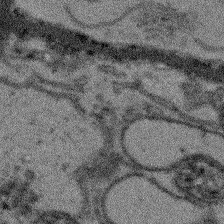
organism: Arabidopsis thaliana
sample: Root tip